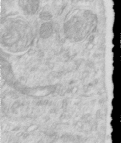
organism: Human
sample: Centriole in RPE cells